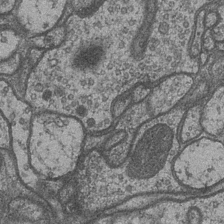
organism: Drosophila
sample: Optic medulla